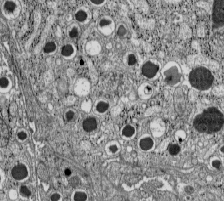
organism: C57BL Mouse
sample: Pancreatic islet